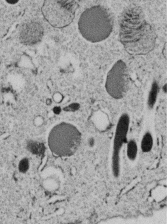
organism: C. elegans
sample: C. elegans embryo early stage